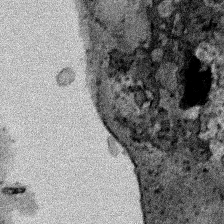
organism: Human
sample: Mitochondria in HCT116 cells